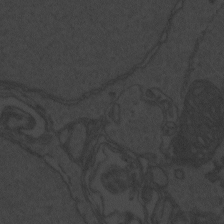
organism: Zebrafish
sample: Macrophage infected with Toxoplasma gondii